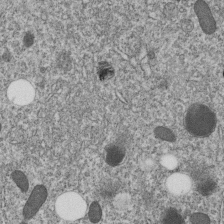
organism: C. elegans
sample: C. elegans embryo early stage